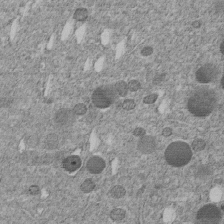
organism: C. elegans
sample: C. elegans embryo early stage